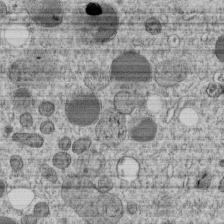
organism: C. elegans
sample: C. elegans embryo early stage